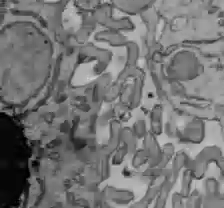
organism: C57BL Mouse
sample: Liver